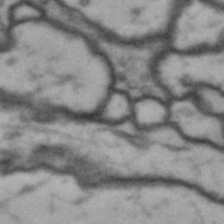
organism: Drosophila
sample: Brain